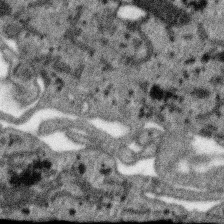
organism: Human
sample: Lung epithelial cells infected with SARS-CoV-2